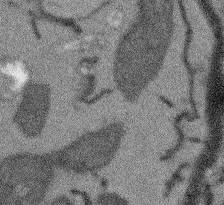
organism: Arabidopsis thaliana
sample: Root tip